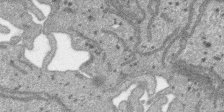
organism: Human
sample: Lung epithelial cells infected with SARS-CoV-2